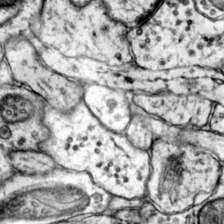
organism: Mouse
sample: Primary visual cortex